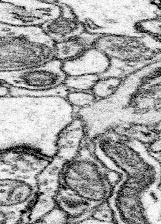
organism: Mouse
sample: Somatosensory cortex neuropil